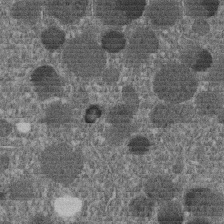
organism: C. elegans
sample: C. elegans embryo early stage